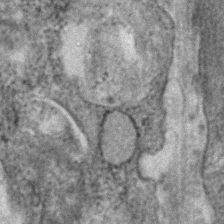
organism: Human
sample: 1205lu cells